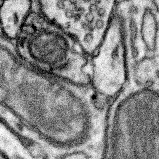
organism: Mouse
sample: Somatosensory cortex neuropil